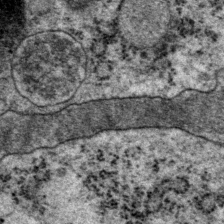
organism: P. pacificus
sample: Pharynx